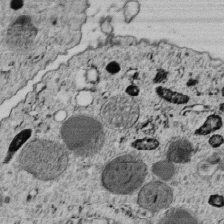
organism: C. elegans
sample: C. elegans embryo early stage